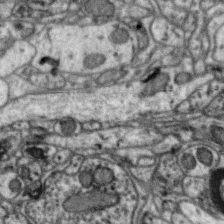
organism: Zebra finch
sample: Brain